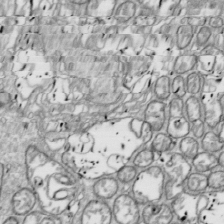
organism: Drosophila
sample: Cell division; meiosis; drosophila spermatocytes